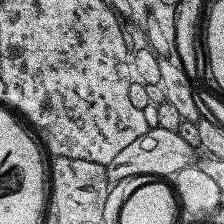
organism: Human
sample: Temporal Lobe